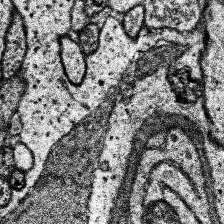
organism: Human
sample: Temporal Lobe